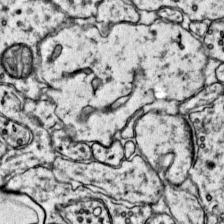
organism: Mouse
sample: Primary visual cortex